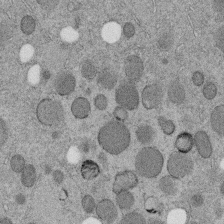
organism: C. elegans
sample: C. elegans embryo early stage